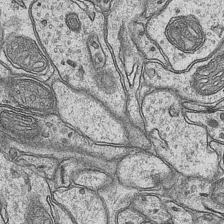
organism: Mouse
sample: CA1 Hippocampus